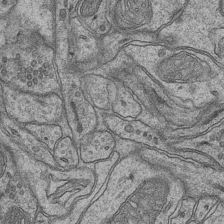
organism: Mouse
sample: CA1 Hippocampus